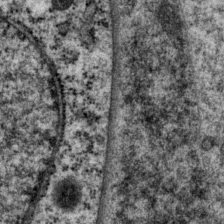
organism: P. pacificus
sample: Pharynx